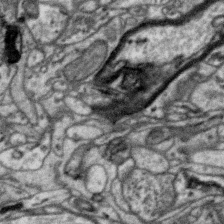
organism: Zebra finch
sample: Brain